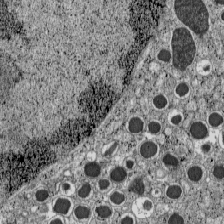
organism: C57BL Mouse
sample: Pancreatic islet